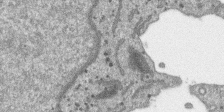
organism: Human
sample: Lung epithelial cells infected with SARS-CoV-2